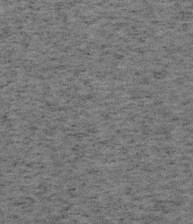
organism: Mouse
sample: OT-I killer T cells with ID8 ovarian cancer cells